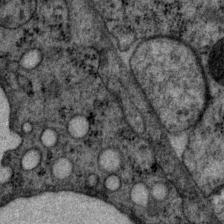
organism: P. pacificus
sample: Pharynx